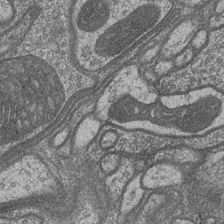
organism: Drosophila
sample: Optic medulla